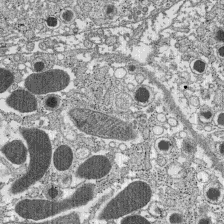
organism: C57BL Mouse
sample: Pancreatic islet